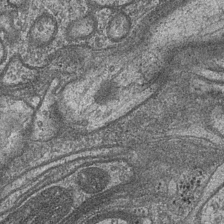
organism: Drosophila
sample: Optic medulla